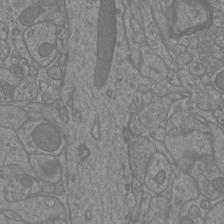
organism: Mouse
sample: Cortical neurons